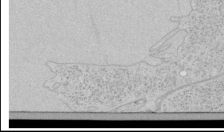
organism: Human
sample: Mitochondria in HCT116 cells